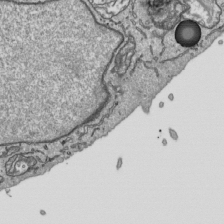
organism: Human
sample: Mitochondria in HCT116 cells